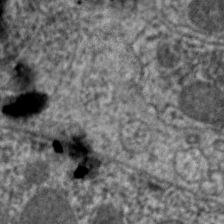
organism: C. elegans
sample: Pharynx